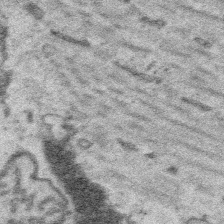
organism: Platynereis dumerilii